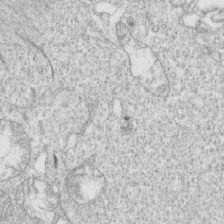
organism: Human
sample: HeLa cell HIV synapse